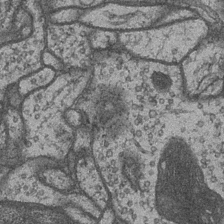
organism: Drosophila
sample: Optic medulla